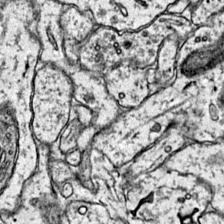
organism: Mouse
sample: Primary visual cortex